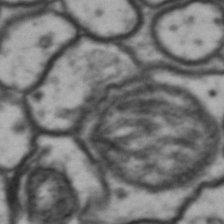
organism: Drosophila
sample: Brain